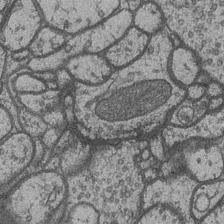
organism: Drosophila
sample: Optic medulla